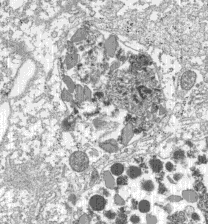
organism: C57BL Mouse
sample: Pancreatic islet